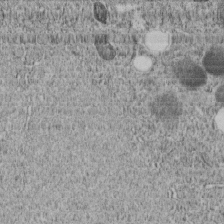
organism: C. elegans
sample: C. elegans embryo early stage